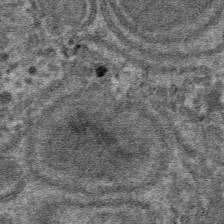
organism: Mouse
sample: Mouse hepatocytes